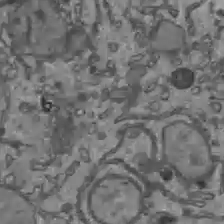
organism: C57BL Mouse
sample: Liver